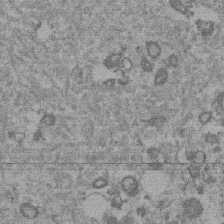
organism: Mouse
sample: Dividing mouse embryo 1 cell stage